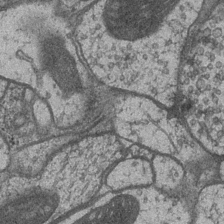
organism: Drosophila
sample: Optic medulla